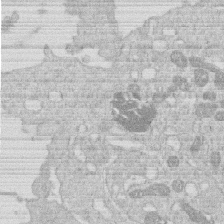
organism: Human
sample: Macrophage cells